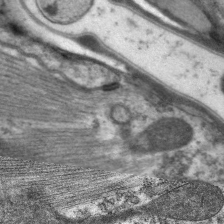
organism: C. elegans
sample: Pharynx